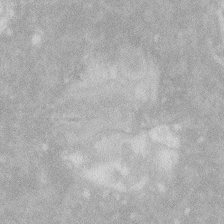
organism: Zebrafish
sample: Macrophage